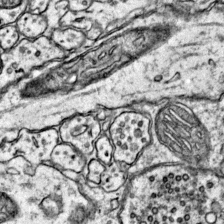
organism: Mouse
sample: Primary visual cortex